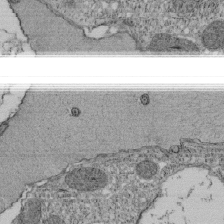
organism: Tetrahymena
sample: Cilia in tetrahymena